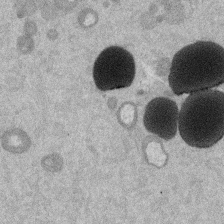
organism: Mouse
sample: Dividing mouse embryo 1 cell stage